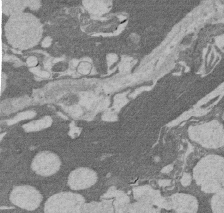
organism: Rat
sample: Salivary granule